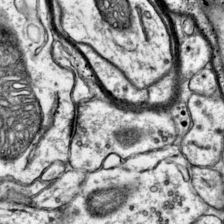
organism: Mouse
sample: Primary visual cortex